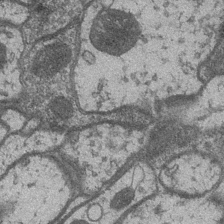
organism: Drosophila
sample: Optic medulla